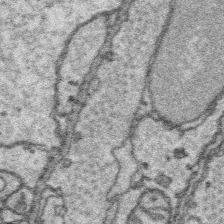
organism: Platynereis dumerilii